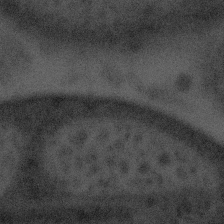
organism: Tuwongella immobilis